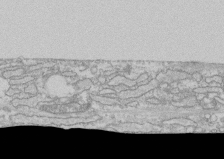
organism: Human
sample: CRL-1474